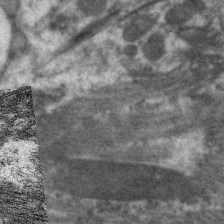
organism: C. elegans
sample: Pharynx